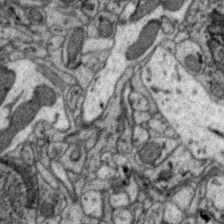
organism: Zebra finch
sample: Brain